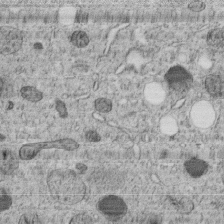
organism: C. elegans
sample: C. elegans embryo early stage